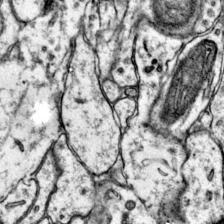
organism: Mouse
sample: Primary visual cortex